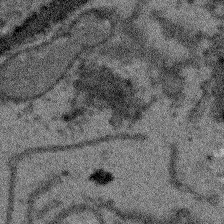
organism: Arabidopsis thaliana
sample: Root tip